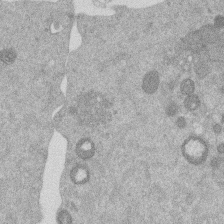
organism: Mouse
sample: Dividing mouse embryo 1 cell stage